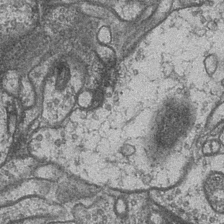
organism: Drosophila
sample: Optic medulla